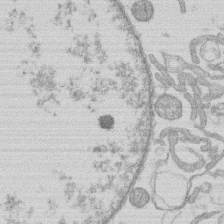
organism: Human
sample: Macrophage cells